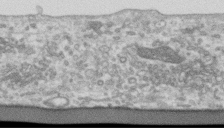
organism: Human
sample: Centriole in RPE cells